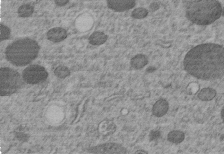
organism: C. elegans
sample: C. elegans embryo early stage